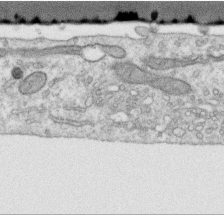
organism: Human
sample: Centriole in RPE cells